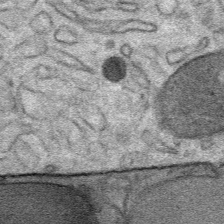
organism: Mouse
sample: Mouse Salivary gland